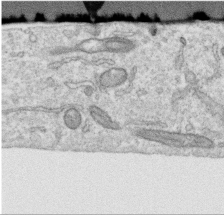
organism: Human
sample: Centriole in RPE cells